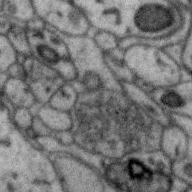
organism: Zebra finch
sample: Brain